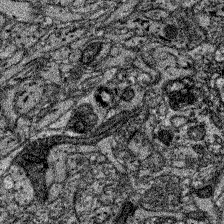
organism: Zebrafish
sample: Larval olfactory bulb